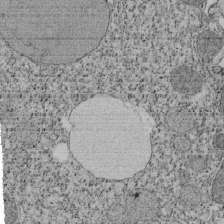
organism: Tetrahymena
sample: Cilia in tetrahymena